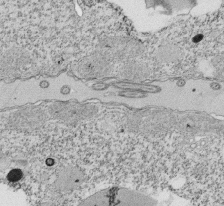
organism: Tetrahymena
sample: Cilia in tetrahymena